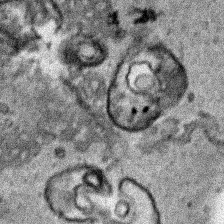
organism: Human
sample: Mitochondria in HCT116 cells